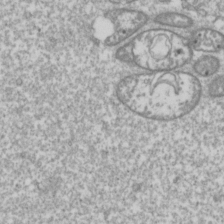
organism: Drosophila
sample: Cell division; meiosis; drosophila spermatocytes